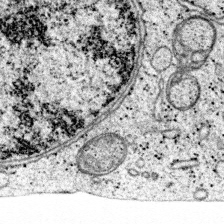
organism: Human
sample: HeLa cells